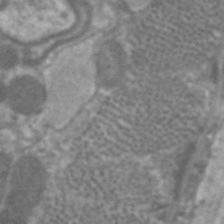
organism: C. elegans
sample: Pharynx